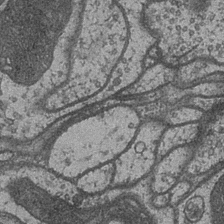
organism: Drosophila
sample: Optic medulla